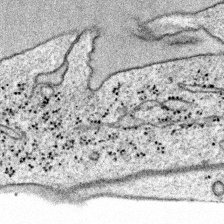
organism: Human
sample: HeLa cells